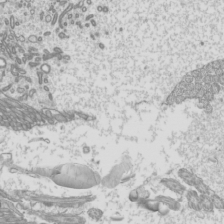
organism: Mouse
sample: Cilia; mouse epididymis